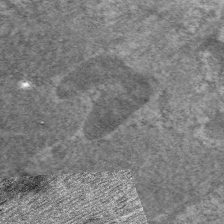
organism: C. elegans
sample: Pharynx